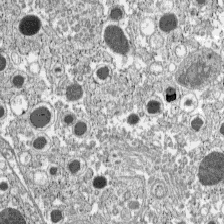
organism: C57BL Mouse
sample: Pancreatic islet